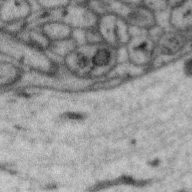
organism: Zebra finch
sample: Brain